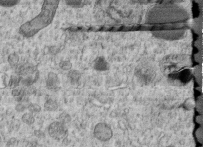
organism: C. elegans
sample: C. elegans embryo early stage